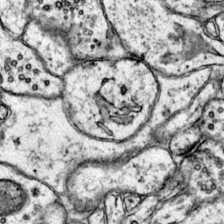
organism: Mouse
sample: Primary visual cortex